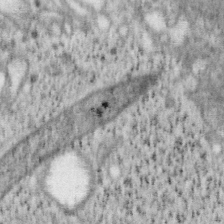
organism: Mouse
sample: OT-I killer T cells with ID8 ovarian cancer cells